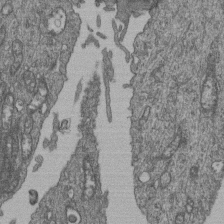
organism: Human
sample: Retinal organoid Rod and Cone cells